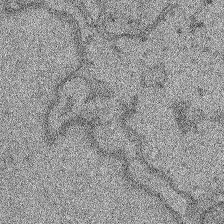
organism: Human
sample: HeLa cells